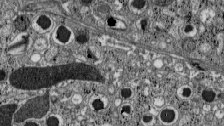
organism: C57BL Mouse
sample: Pancreatic islet